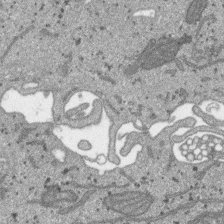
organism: Human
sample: Lung epithelial cells infected with SARS-CoV-2